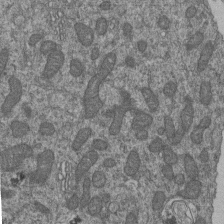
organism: Human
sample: Retinal organoid Rod and Cone cells